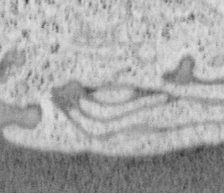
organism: Mouse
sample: OT-I killer T cells with ID8 ovarian cancer cells